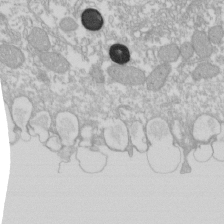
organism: Xenopus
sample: Cilia; centrioles in frog embryo cells